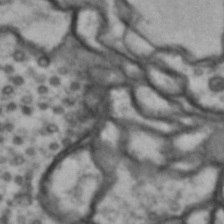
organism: Drosophila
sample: Brain